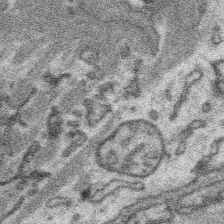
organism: Platynereis dumerilii